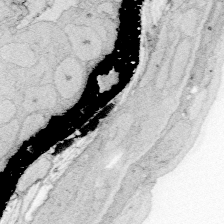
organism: Zebrafish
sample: Whole-Brain